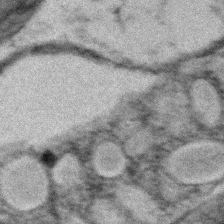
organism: Zebrafish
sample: Zebrafish embryo